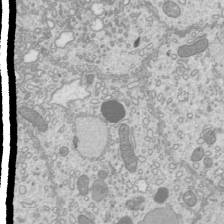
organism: Mouse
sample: Cilia; mouse epididymis